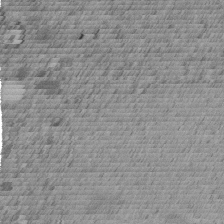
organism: C. elegans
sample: C. elegans embryo early stage